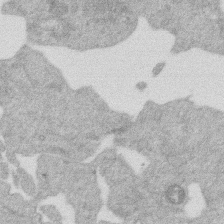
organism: Mouse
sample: Dividing mouse embryo 1 cell stage